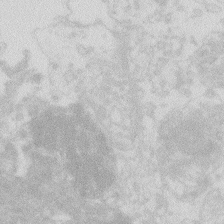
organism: Zebrafish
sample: Macrophage